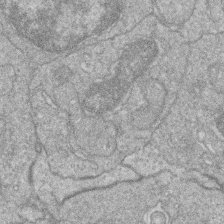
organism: Zebrafish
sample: Cilia; retinal pigment epithelium